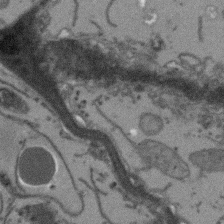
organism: Arabidopsis thaliana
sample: Root tip